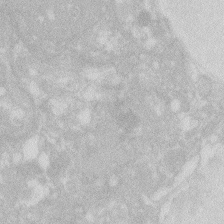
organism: Zebrafish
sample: Macrophage